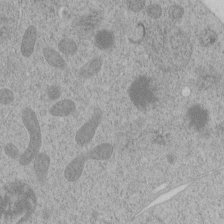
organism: C. elegans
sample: C. elegans embryo early stage